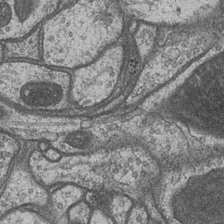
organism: Drosophila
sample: Optic medulla